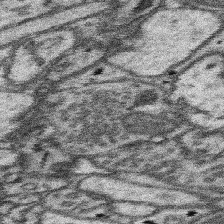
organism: Mouse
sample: Somatosensory cortex neuropil